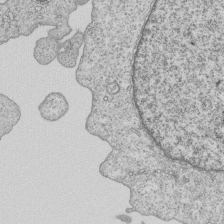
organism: Human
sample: MDA-MB-231 cells